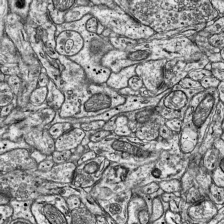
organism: Mouse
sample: Visual Cortex